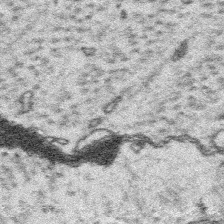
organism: Platynereis dumerilii